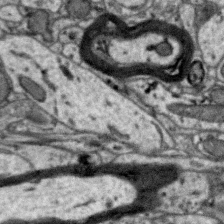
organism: Zebra finch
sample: Brain